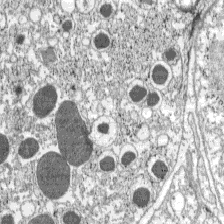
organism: C57BL Mouse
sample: Pancreatic islet